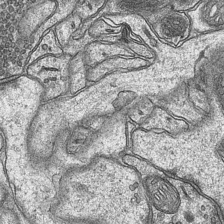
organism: Mouse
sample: CA1 Hippocampus